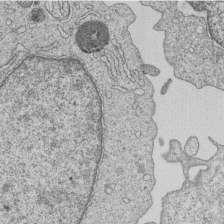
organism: Human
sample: MDA-MB-231 cells